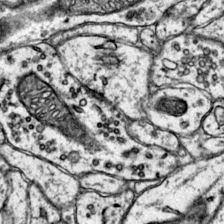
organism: Mouse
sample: Primary visual cortex